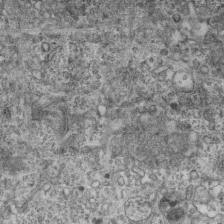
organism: Mouse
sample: Centriole in ependymal cells